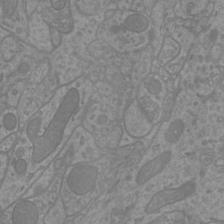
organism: Mouse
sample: Cortical neurons